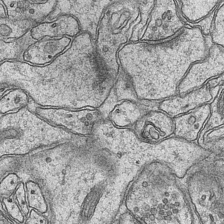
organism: Mouse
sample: CA1 Hippocampus